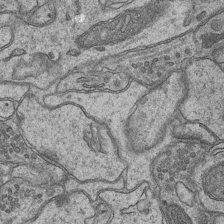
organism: Mouse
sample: CA1 Hippocampus